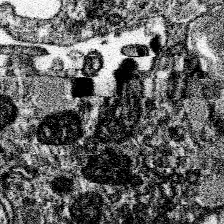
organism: Spongilla lacustris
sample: Neuroid cell